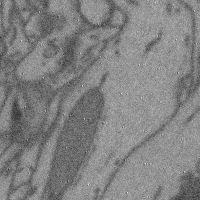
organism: Mouse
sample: Cerebral cortex